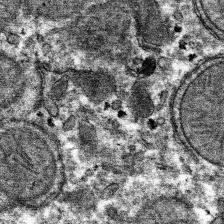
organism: Mouse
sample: Mouse hepatocytes